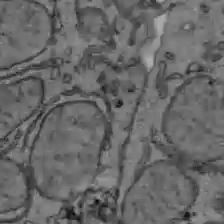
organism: C57BL Mouse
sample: Liver